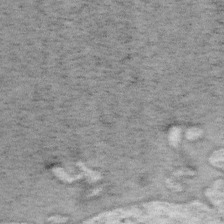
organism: Mouse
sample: OT-I killer T cells with ID8 ovarian cancer cells